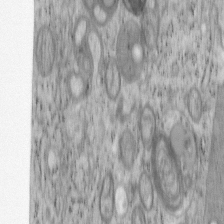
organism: Human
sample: HeLa cells